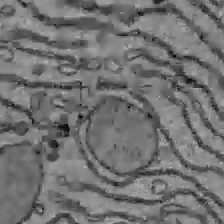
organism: C57BL Mouse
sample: Liver